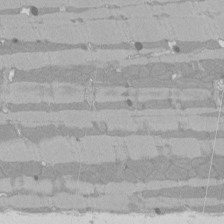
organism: Rat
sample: Left ventricle